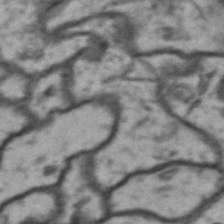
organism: Drosophila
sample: Brain